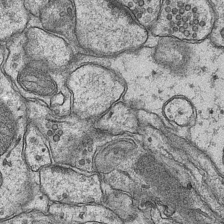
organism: Mouse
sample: CA1 Hippocampus